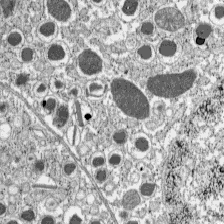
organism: C57BL Mouse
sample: Pancreatic islet